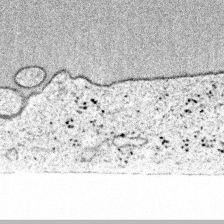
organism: Human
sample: HeLa cells